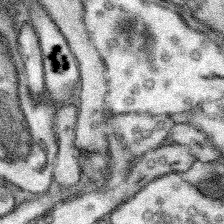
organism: Mouse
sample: Somatosensory cortex neuropil